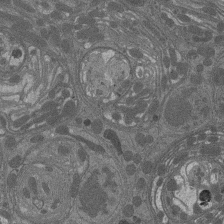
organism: Drosophila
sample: Antenna